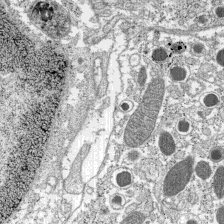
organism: C57BL Mouse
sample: Pancreatic islet